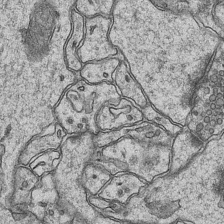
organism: Mouse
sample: CA1 Hippocampus